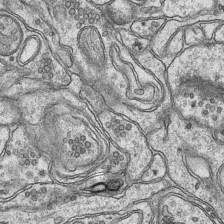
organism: Mouse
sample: CA1 Hippocampus